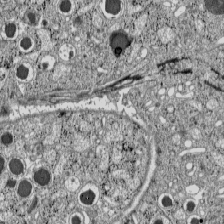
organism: C57BL Mouse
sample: Pancreatic islet